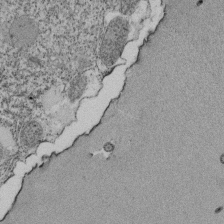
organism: Tetrahymena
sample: Cilia in tetrahymena